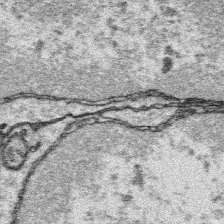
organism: Platynereis dumerilii